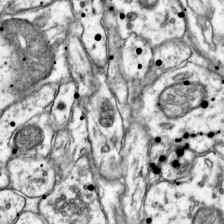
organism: Mouse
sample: Primary visual cortex